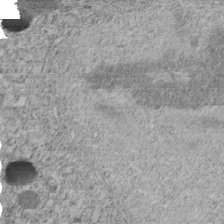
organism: C. elegans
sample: C. elegans embryo early stage